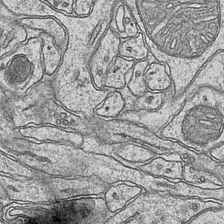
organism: Mouse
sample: CA1 Hippocampus